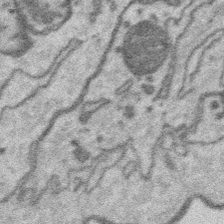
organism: Platynereis dumerilii